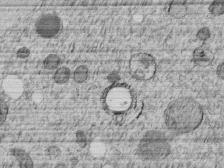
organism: C. elegans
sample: C. elegans embryo early stage